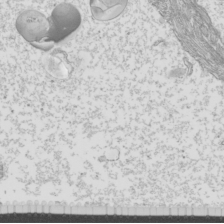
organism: Mouse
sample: Cilia; mouse epididymis